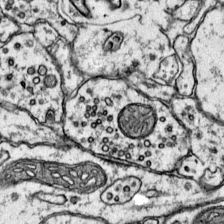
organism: Mouse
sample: Primary visual cortex